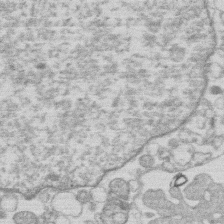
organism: Human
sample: Macrophage cells